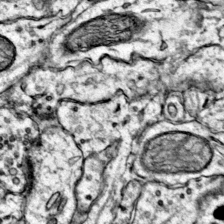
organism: Mouse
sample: Primary visual cortex